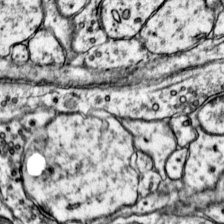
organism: Mouse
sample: Primary visual cortex